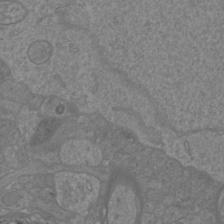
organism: Mouse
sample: Cortical neurons